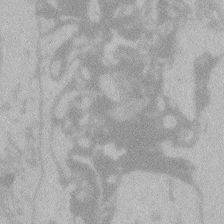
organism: Zebrafish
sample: Macrophage infected with Toxoplasma gondii